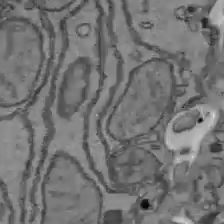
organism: C57BL Mouse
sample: Liver